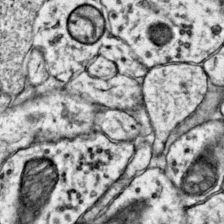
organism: Mouse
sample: Primary visual cortex